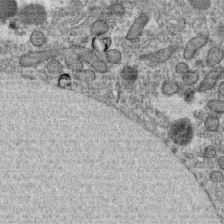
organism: C. elegans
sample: C. elegans oocyte; sperm cells